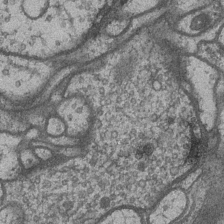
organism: Drosophila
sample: Optic medulla